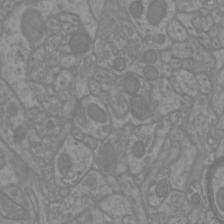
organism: Mouse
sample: Cortical neurons